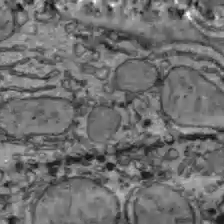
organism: C57BL Mouse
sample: Liver